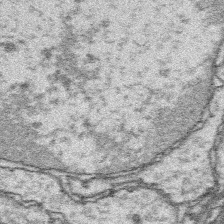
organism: Platynereis dumerilii